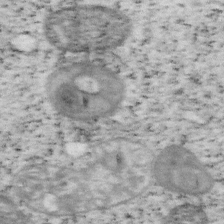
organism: Mouse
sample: OT-I killer T cells with ID8 ovarian cancer cells